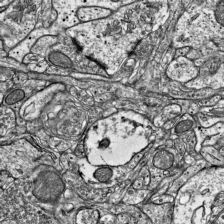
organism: Mouse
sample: Visual Cortex